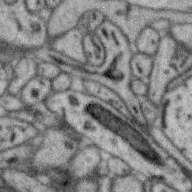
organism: Zebra finch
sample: Brain